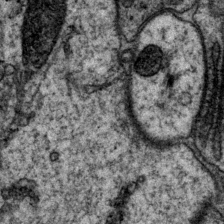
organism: P. pacificus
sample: Pharynx